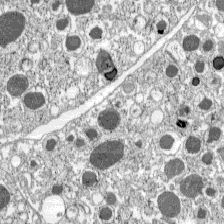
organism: C57BL Mouse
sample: Pancreatic islet